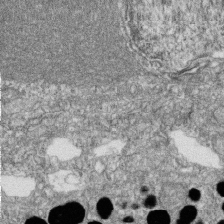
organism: Zebrafish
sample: Cilia; retinal pigment epithelium